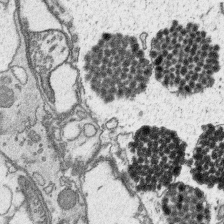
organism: Platynereis dumerilii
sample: Parapodia